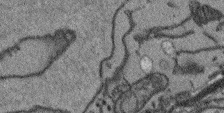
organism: Arabidopsis thaliana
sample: Root tip